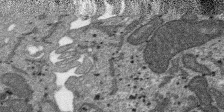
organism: Human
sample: Lung epithelial cells infected with SARS-CoV-2